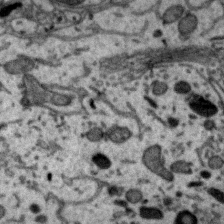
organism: Zebra finch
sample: Brain